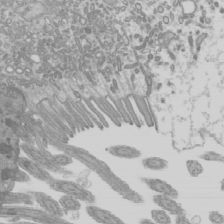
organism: Mouse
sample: Cilia; mouse epididymis